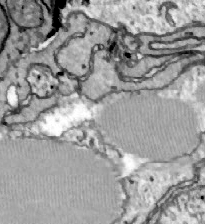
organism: Zebrafish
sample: Actinotrichia fibers